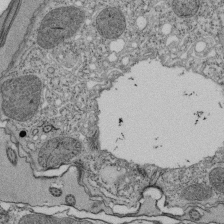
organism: Tetrahymena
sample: Cilia in tetrahymena